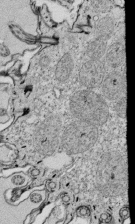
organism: Tetrahymena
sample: Cilia in tetrahymena